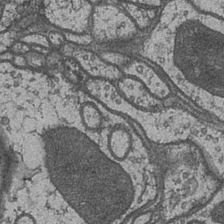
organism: Drosophila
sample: Optic medulla